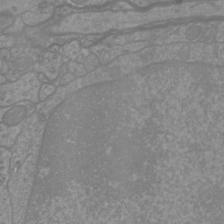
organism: Mouse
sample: Cortical neurons